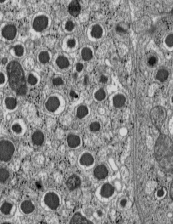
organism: C57BL Mouse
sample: Pancreatic islet